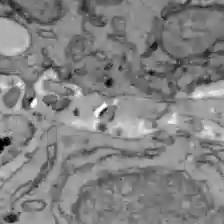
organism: C57BL Mouse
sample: Liver